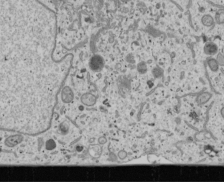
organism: Human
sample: Mitochondria in U2OS cells